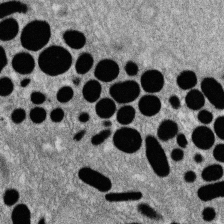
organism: Zebrafish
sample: Cilia; retinal pigment epithelium